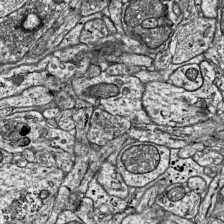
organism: Mouse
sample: Visual Cortex